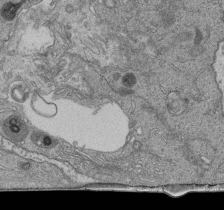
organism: Human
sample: Retinal organoid Rod and Cone cells